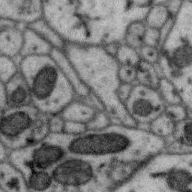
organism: Zebra finch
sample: Brain